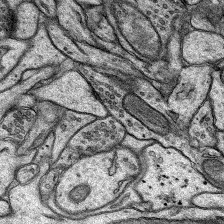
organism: Rat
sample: Hippocampus